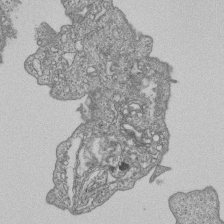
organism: Human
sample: MDA-MB-231 cells